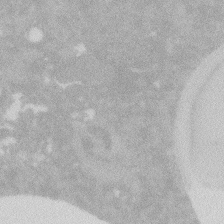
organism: Zebrafish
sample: Macrophage